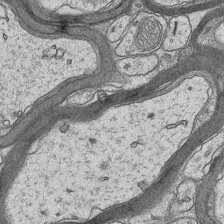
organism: Mouse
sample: CA1 Hippocampus